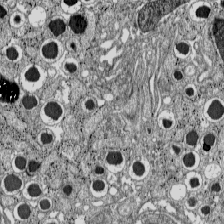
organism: C57BL Mouse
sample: Pancreatic islet